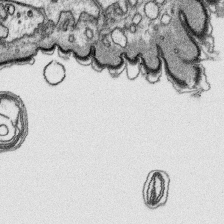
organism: Platynereis dumerilii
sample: Parapodia